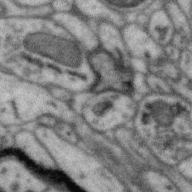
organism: Zebra finch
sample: Brain